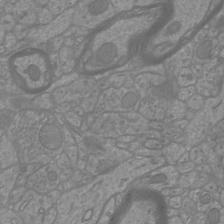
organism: Mouse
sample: Cortical neurons